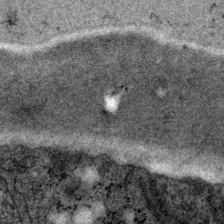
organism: P. pacificus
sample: Pharynx